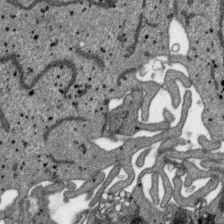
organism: Human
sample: Lung epithelial cells, uninfected (mock) control